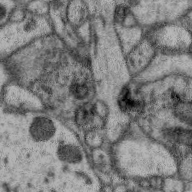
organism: Zebra finch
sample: Brain